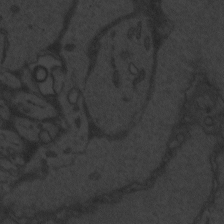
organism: Zebrafish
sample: Macrophage infected with Toxoplasma gondii